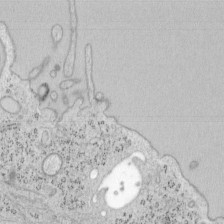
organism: Mouse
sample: OT-I killer T cells with ID8 ovarian cancer cells